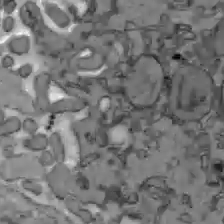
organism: C57BL Mouse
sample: Liver